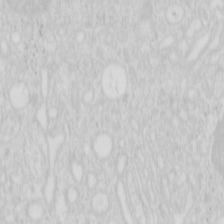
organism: Mouse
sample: Pancreas